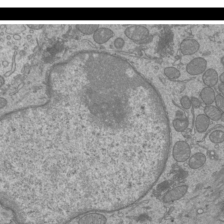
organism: Mouse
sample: Cilia; mouse epididymis